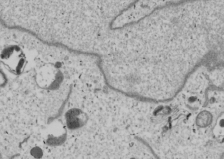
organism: Human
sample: Mitochondria in U2OS cells